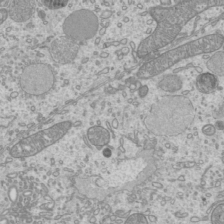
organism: Mouse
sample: Cilia; mouse epididymis